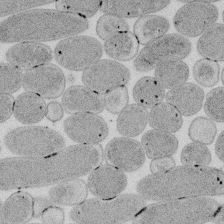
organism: E. coli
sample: Bacterial nucleoid